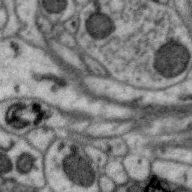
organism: Zebra finch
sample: Brain